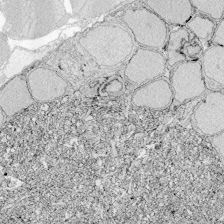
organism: Zebrafish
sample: Whole-Brain